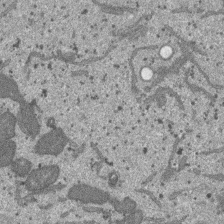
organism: Human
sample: Lung epithelial cells infected with SARS-CoV-2